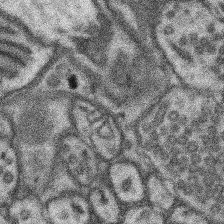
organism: Mouse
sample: Somatosensory cortex neuropil